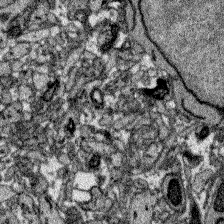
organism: Zebrafish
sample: Larval olfactory bulb